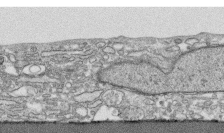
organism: Human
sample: CRL-1474